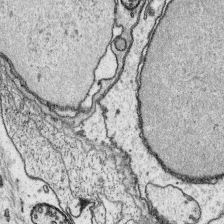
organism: Platynereis dumerilii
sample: Parapodia